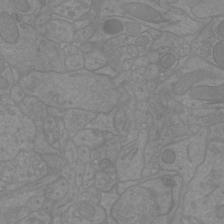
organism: Mouse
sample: Cortical neurons